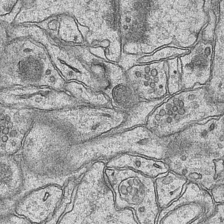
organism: Mouse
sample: CA1 Hippocampus